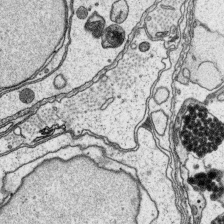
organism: Platynereis dumerilii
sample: Parapodia